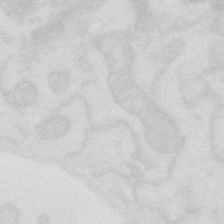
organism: Human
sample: HeLa cells